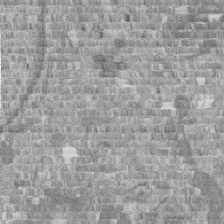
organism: Human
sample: Centriole in fibroblast cells